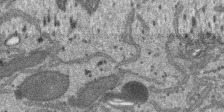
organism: Human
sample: Lung epithelial cells infected with SARS-CoV-2